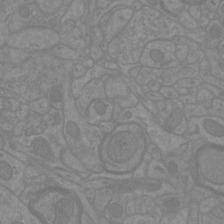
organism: Mouse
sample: Cortical neurons